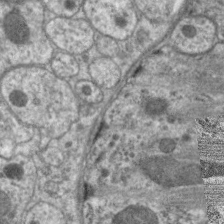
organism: C. elegans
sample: Pharynx